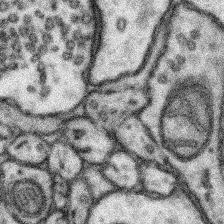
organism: Mouse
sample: Somatosensory cortex neuropil